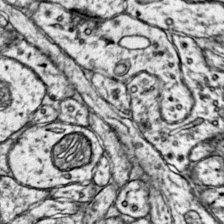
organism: Mouse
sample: Primary visual cortex